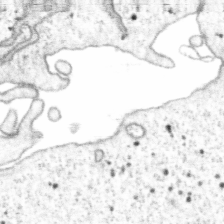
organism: Human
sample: HeLa cells